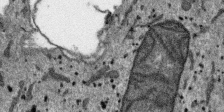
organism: Human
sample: Lung epithelial cells, uninfected (mock) control